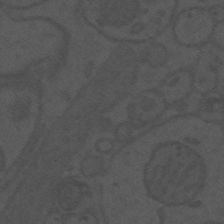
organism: Mouse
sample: Suprachiasmatic nucleus